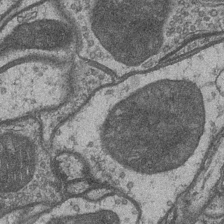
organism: Drosophila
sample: Optic medulla